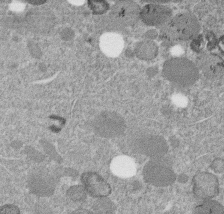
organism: C. elegans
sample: C. elegans embryo early stage